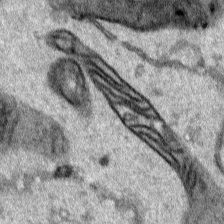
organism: Human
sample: Mitochondria in HCT116 cells